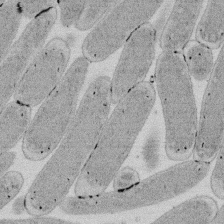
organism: E. coli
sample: Bacterial nucleoid